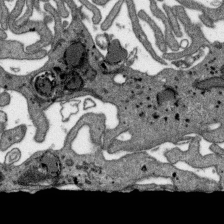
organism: Human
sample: Lung epithelial cells, uninfected (mock) control